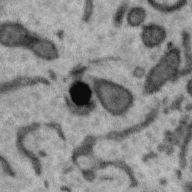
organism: Zebra finch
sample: Brain